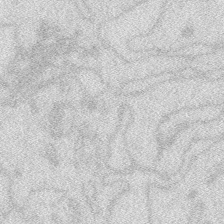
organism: Zebrafish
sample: Macrophage